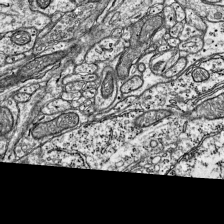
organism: Mouse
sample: Visual Cortex